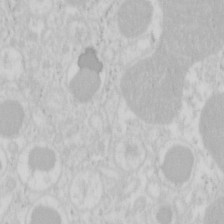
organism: Mouse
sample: Pancreas